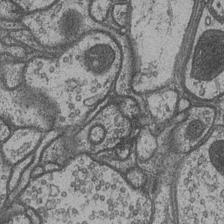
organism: Drosophila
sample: Optic medulla